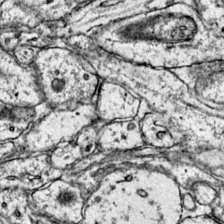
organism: Mouse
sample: Primary visual cortex